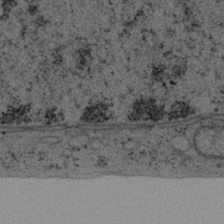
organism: Human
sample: HeLa cells